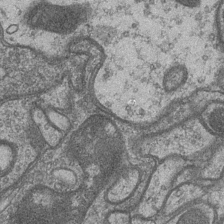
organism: Drosophila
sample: Optic medulla